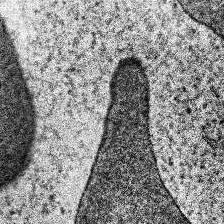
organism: Human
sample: Temporal Lobe